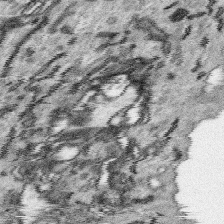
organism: Human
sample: HeLa cells